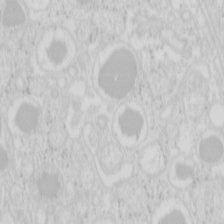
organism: Mouse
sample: Pancreas